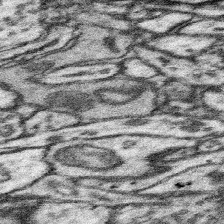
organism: Mouse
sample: Somatosensory cortex neuropil